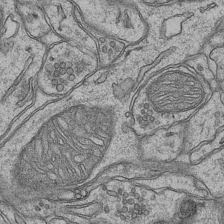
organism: Mouse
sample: CA1 Hippocampus